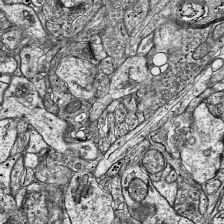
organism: Mouse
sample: Visual Cortex